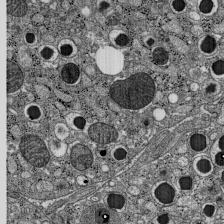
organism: C57BL Mouse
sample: Pancreatic islet